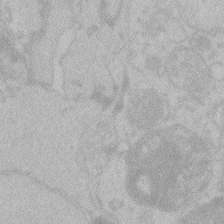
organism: Zebrafish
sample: Macrophage infected with Toxoplasma gondii